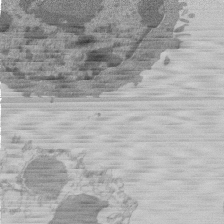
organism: Mouse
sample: Activated Pmel transgenic CD8+ T Cells